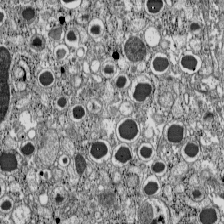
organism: C57BL Mouse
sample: Pancreatic islet